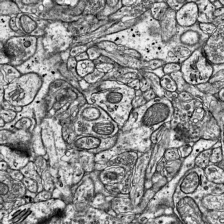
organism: Mouse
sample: Visual Cortex